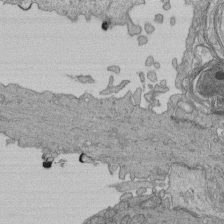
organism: Human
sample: Retinal organoid Rod and Cone cells